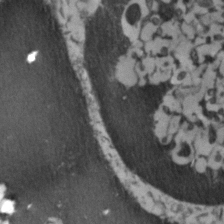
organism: Zebrafish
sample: Zebrafish embryo